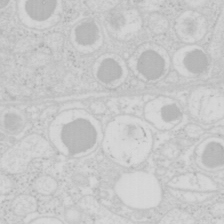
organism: Mouse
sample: Pancreas